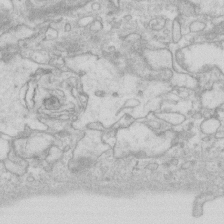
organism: Human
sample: Fibroblast cells